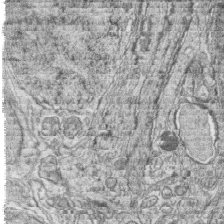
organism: Zebrafish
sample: synaptic ribbons in rod cells and cone cells